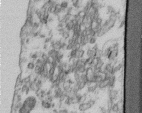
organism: Human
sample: Centriole in fibroblast cells